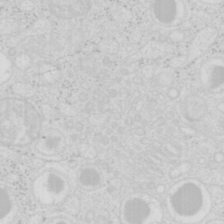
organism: Mouse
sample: Pancreas